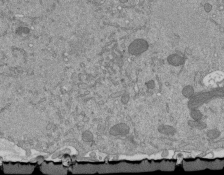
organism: Mouse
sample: ED-1 cell nuclei; centrioles